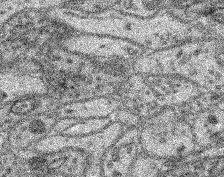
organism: Mouse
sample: Retina